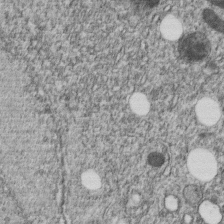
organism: C. elegans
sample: C. elegans embryo early stage